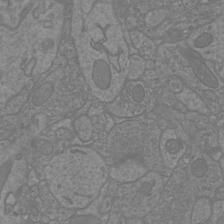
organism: Mouse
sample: Cortical neurons